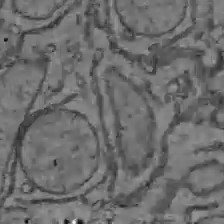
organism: C57BL Mouse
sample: Liver